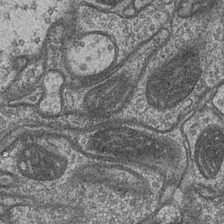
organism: Drosophila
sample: Optic medulla